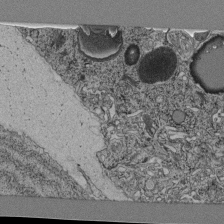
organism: C. elegans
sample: C. elegans pharynx